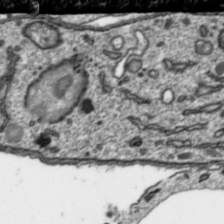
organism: Toxoplasma gondii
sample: Parasites in a vacuole inside a host cell